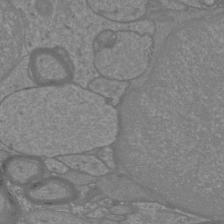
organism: Mouse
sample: Cortical neurons